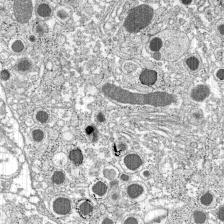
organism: C57BL Mouse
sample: Pancreatic islet